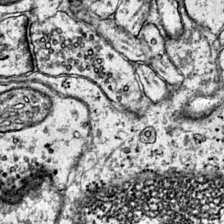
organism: Mouse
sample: Primary visual cortex